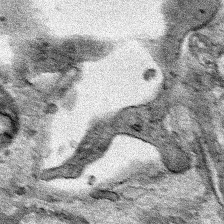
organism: Human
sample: Mitochondria in HCT116 cells